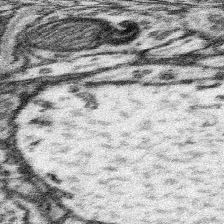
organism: Mouse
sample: Somatosensory cortex neuropil